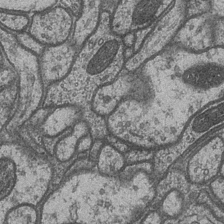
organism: Drosophila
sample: Optic medulla